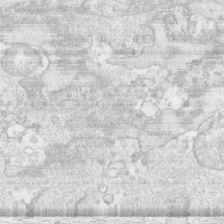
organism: Human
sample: CRL-1474